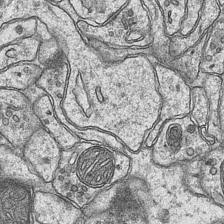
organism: Mouse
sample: CA1 Hippocampus